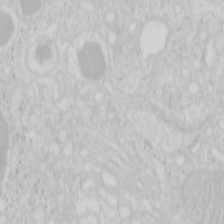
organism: Mouse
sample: Pancreas